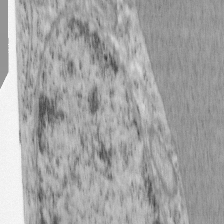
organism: Human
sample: HeLa cells